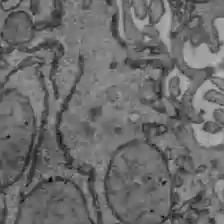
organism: C57BL Mouse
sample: Liver